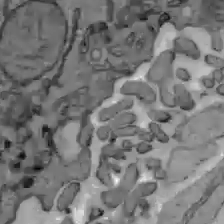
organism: C57BL Mouse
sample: Liver